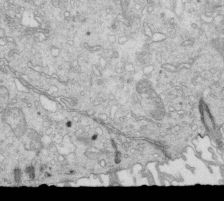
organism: Mouse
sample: Multiciliated cells